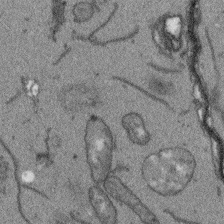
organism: Arabidopsis thaliana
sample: Root tip